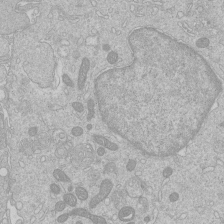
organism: Human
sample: Macrophage cells